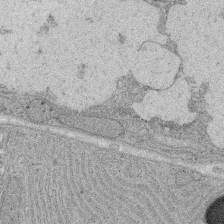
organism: Rat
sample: Salivary granule